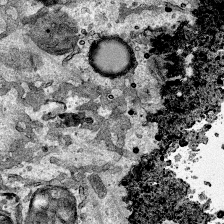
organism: Human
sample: Mitochondria in HCT116 cells